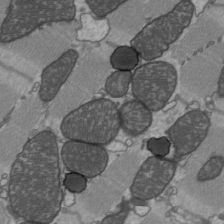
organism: C57BL Mouse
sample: Heart